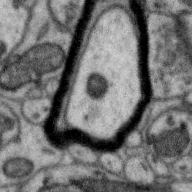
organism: Zebra finch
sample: Brain